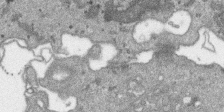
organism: Human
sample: Lung epithelial cells infected with SARS-CoV-2